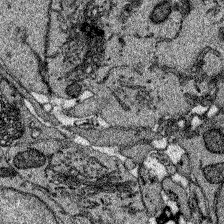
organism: Zebrafish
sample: Larval olfactory bulb